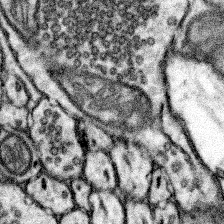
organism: Mouse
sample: Somatosensory cortex neuropil